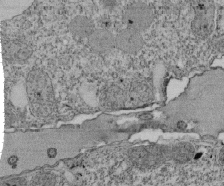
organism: Tetrahymena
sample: Cilia in tetrahymena